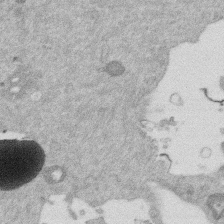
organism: Mouse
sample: Dividing mouse embryo 1 cell stage